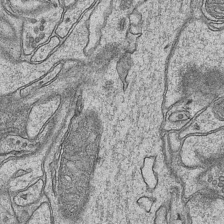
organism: Mouse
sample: CA1 Hippocampus